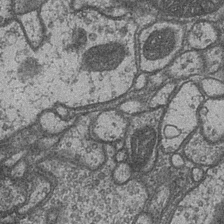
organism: Drosophila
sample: Optic medulla